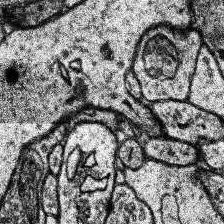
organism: Human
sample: Temporal Lobe